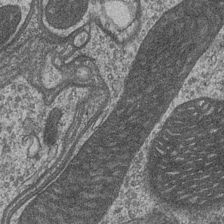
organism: Drosophila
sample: Optic medulla